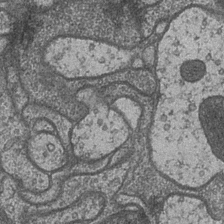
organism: Drosophila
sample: Optic medulla